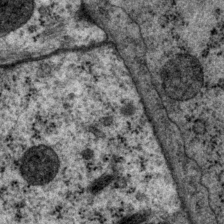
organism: P. pacificus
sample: Pharynx